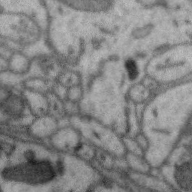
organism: Zebra finch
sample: Brain